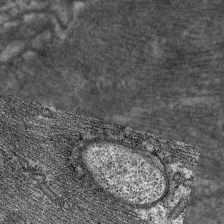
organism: C. elegans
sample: Pharynx